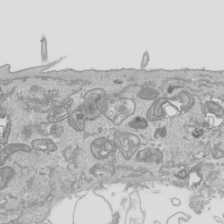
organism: Human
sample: Mitochondria in HCT116 cells